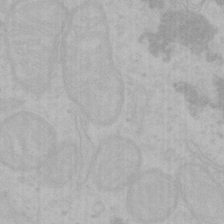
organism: Mouse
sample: Choroid plexus